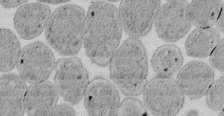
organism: E. coli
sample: Bacterial nucleoid